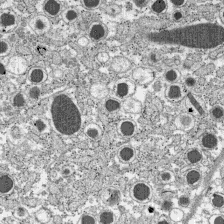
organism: C57BL Mouse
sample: Pancreatic islet